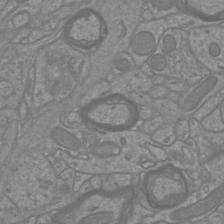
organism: Mouse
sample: Cortical neurons